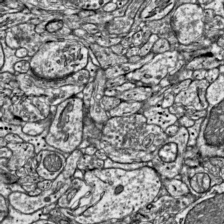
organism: Mouse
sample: Visual Cortex